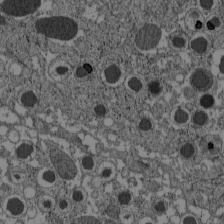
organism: C57BL Mouse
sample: Pancreatic islet